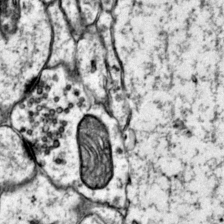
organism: Mouse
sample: Primary visual cortex